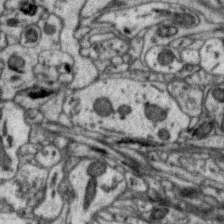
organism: Zebra finch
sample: Brain